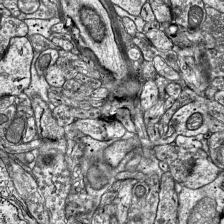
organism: Mouse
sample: Visual Cortex